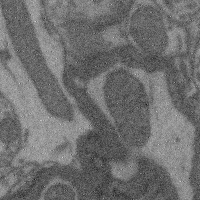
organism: Mouse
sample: Cerebral cortex